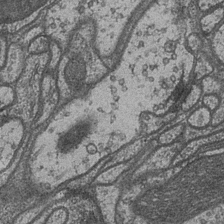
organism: Drosophila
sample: Optic medulla